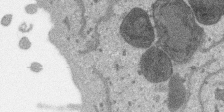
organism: Human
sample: Lung epithelial cells infected with SARS-CoV-2